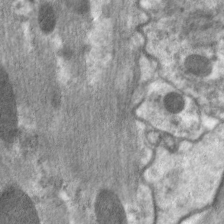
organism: C. elegans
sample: Pharynx